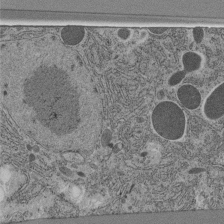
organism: C. elegans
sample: C. elegans pharynx